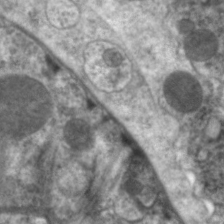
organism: C. elegans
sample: Pharynx